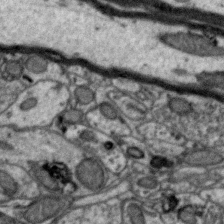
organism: Zebra finch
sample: Brain